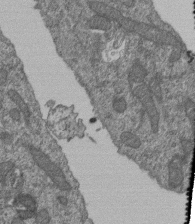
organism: Human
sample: Retinal organoid Rod and Cone cells